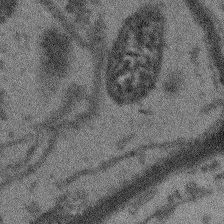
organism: Arabidopsis thaliana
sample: Root tip